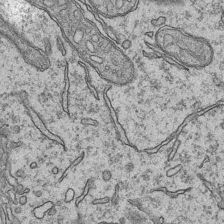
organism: Mouse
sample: CA1 Hippocampus